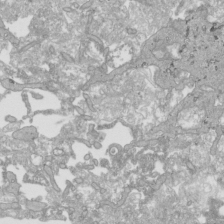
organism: Human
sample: Mitochondria in HCT116 cells